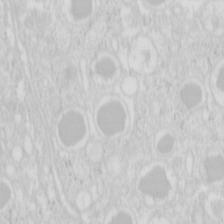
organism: Mouse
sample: Pancreas